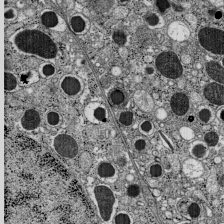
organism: C57BL Mouse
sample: Pancreatic islet